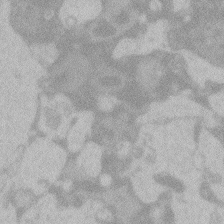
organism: Zebrafish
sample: Macrophage infected with Toxoplasma gondii